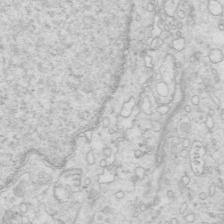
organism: Mouse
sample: Multiciliated cells